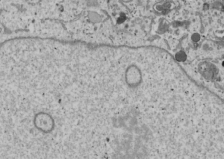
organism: Human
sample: Mitochondria in U2OS cells